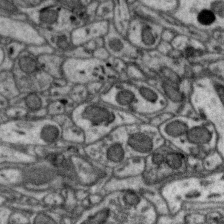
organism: Zebra finch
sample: Brain